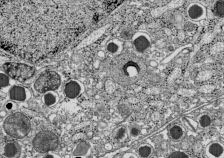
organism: C57BL Mouse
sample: Pancreatic islet